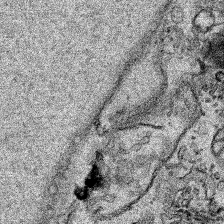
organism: Human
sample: Mitochondria in HCT116 cells